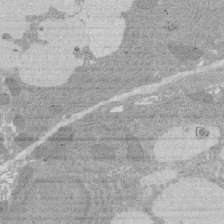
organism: Rat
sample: Salivary granule